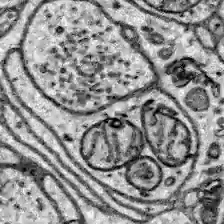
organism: Zebrafish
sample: Brain